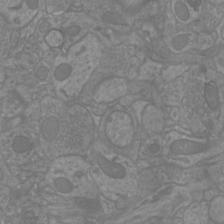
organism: Mouse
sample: Cortical neurons